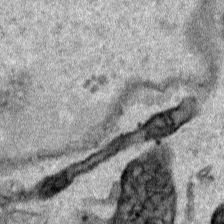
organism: Human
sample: Mitochondria in HCT116 cells